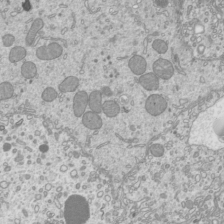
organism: Mouse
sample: Cilia; mouse epididymis